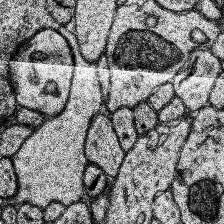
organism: Human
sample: Temporal Lobe